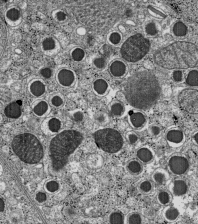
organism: C57BL Mouse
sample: Pancreatic islet